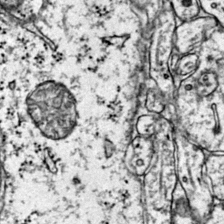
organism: Mouse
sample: Primary visual cortex